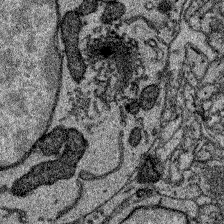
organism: Zebrafish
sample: Larval olfactory bulb